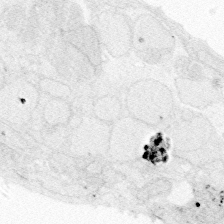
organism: Zebrafish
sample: Whole-Brain